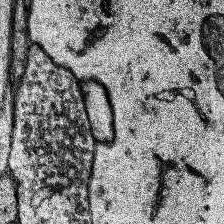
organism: Human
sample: Temporal Lobe